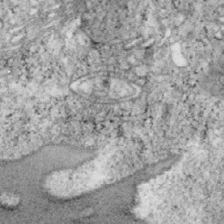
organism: Mouse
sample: OT-I killer T cells with ID8 ovarian cancer cells